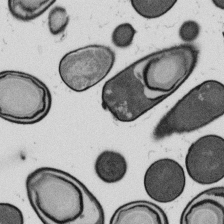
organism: B. subtilis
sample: Bacterial spore